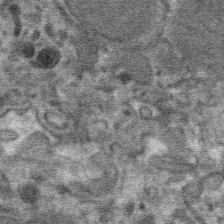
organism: Mouse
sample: Mouse hepatocytes